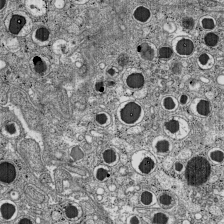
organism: C57BL Mouse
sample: Pancreatic islet